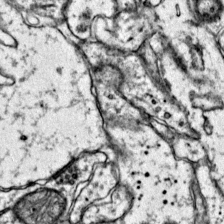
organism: Mouse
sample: Primary visual cortex